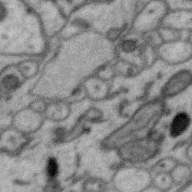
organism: Zebra finch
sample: Brain